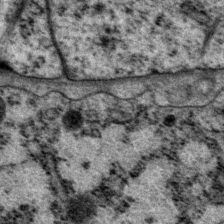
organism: P. pacificus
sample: Pharynx